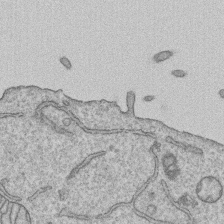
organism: Human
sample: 1205lu cells